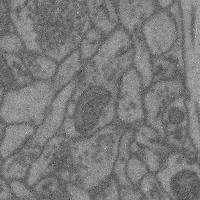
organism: Mouse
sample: Cerebral cortex